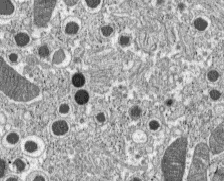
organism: C57BL Mouse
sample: Pancreatic islet